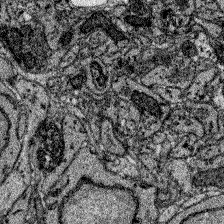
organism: Zebrafish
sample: Larval olfactory bulb